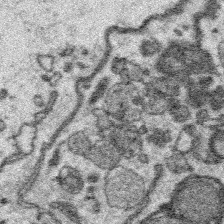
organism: Platynereis dumerilii